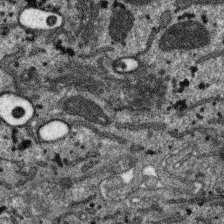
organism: Human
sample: Lung epithelial cells infected with SARS-CoV-2